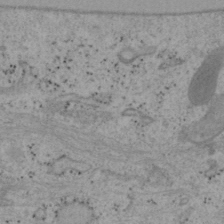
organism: Human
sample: HeLa cells